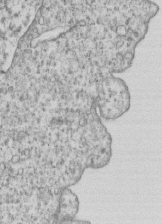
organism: Human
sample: MDA-MB-231 cells